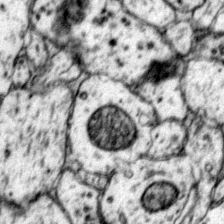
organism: Mouse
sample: Primary visual cortex